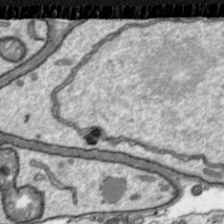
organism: Toxoplasma gondii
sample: Parasites in a vacuole inside a host cell